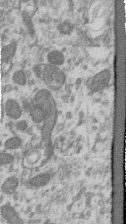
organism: Human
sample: Centriole in RPE cells